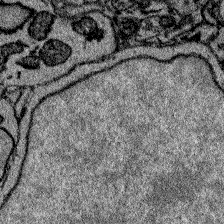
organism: Zebrafish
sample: Larval olfactory bulb